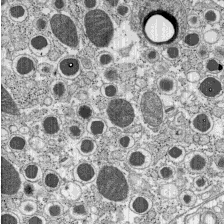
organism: C57BL Mouse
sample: Pancreatic islet